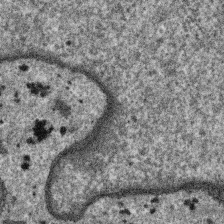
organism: Human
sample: Lung epithelial cells infected with SARS-CoV-2